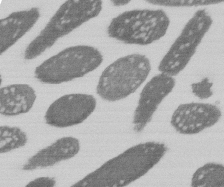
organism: E. coli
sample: Bacterial nucleoid